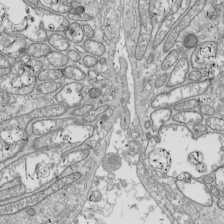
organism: Drosophila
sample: Cell division; meiosis; drosophila spermatocytes